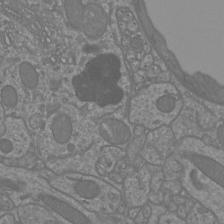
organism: Mouse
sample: Cortical neurons